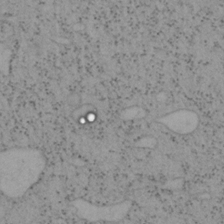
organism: Mouse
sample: OT-I killer T cells with ID8 ovarian cancer cells